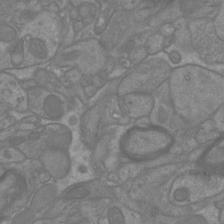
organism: Mouse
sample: Cortical neurons